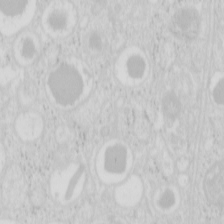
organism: Mouse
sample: Pancreas